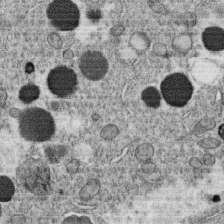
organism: C. elegans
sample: C. elegans oocyte; sperm cells